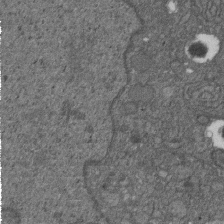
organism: Drosophila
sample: Nephrocyte